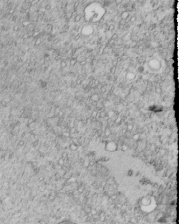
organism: C. elegans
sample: C. elegans embryo early stage